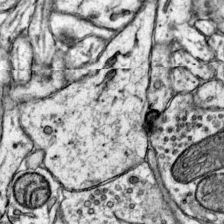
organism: Mouse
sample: Primary visual cortex